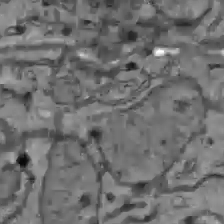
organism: C57BL Mouse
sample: Liver